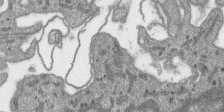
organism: Human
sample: Lung epithelial cells infected with SARS-CoV-2